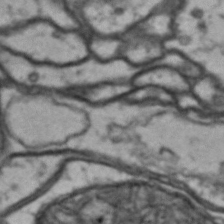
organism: Drosophila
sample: Brain